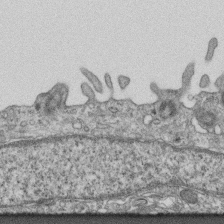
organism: Mouse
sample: Centriole in ependymal cells